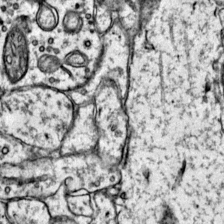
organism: Mouse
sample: Primary visual cortex